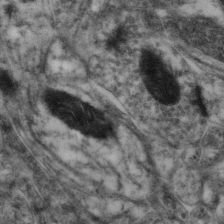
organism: Mouse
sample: Neocortex